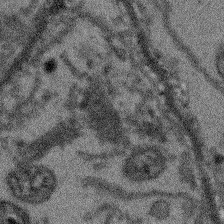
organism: Arabidopsis thaliana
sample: Root tip